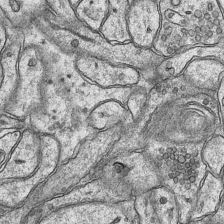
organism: Mouse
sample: CA1 Hippocampus